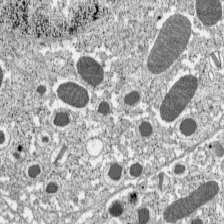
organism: C57BL Mouse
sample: Pancreatic islet